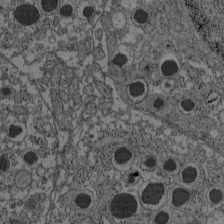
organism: C57BL Mouse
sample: Pancreatic islet